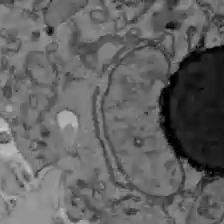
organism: C57BL Mouse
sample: Liver